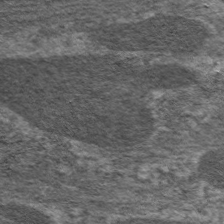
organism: C. elegans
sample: Pharynx